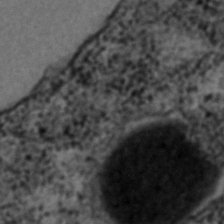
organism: C. elegans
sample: C. elegans embryo